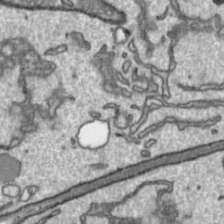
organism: Toxoplasma gondii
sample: Parasites in a vacuole inside a host cell